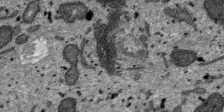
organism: Human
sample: Lung epithelial cells, uninfected (mock) control